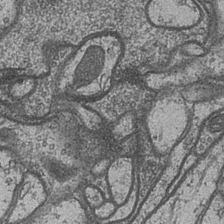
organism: Drosophila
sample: Optic medulla